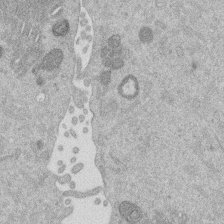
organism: Mouse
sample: Dividing mouse embryo 1 cell stage